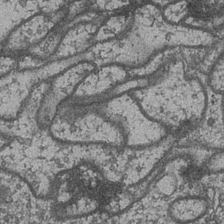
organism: Drosophila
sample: Optic medulla